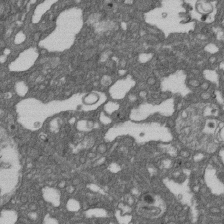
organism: Drosophila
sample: Nephrocyte